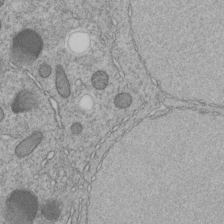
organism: C. elegans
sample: C. elegans embryo early stage